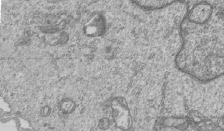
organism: Human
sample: MDA-MB-231 cells